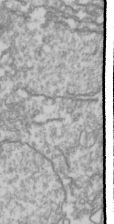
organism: Drosophila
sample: Cell division; meiosis; drosophila spermatocytes